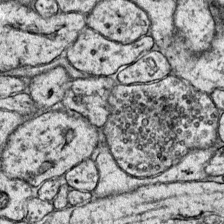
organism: Mouse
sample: Primary visual cortex